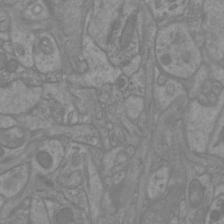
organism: Mouse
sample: Cortical neurons